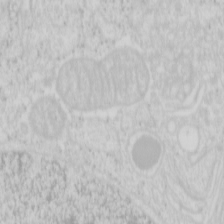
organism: Mouse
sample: Pancreas